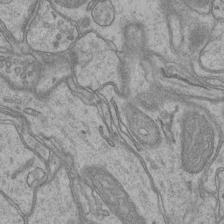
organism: Mouse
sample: CA1 Hippocampus